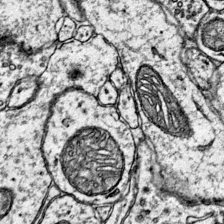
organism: Mouse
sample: Primary visual cortex